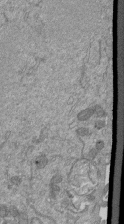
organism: Mouse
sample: ED-1 cell nuclei; centrioles